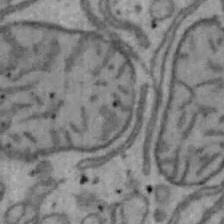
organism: Mouse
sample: Liver